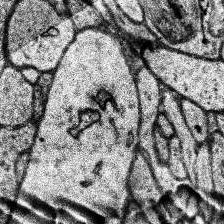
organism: Human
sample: Temporal Lobe